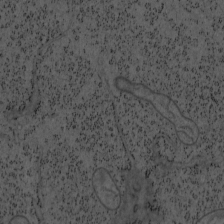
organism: Mouse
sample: OT-I killer T cells with ID8 ovarian cancer cells